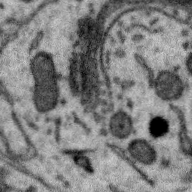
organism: Zebra finch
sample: Brain